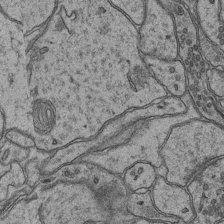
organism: Mouse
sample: CA1 Hippocampus